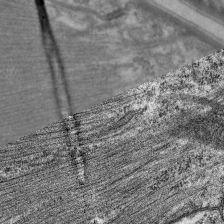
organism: C. elegans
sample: Pharynx